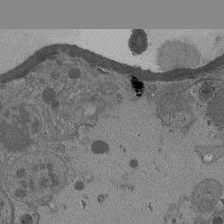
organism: Drosophila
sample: Antenna